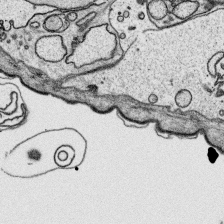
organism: Platynereis dumerilii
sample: Parapodia